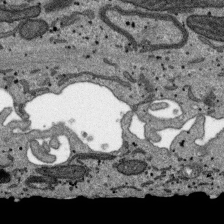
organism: Human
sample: Lung epithelial cells, uninfected (mock) control